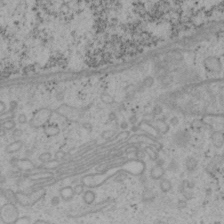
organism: Human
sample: HeLa cells